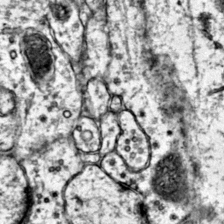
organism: Mouse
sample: Primary visual cortex